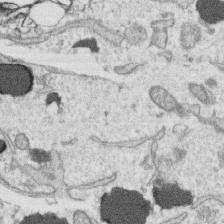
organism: Human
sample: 1205lu cells